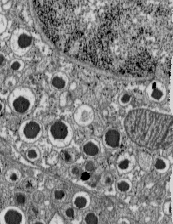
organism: C57BL Mouse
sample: Pancreatic islet